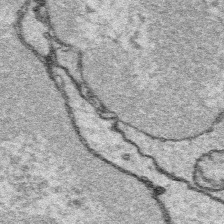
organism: Platynereis dumerilii